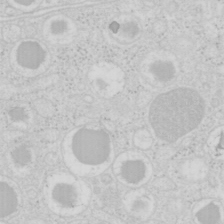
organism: Mouse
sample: Pancreas